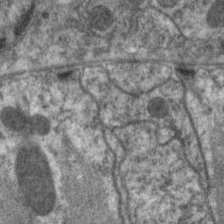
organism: C. elegans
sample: Pharynx